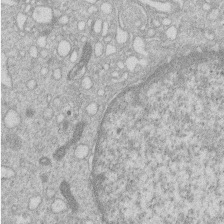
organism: Human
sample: Macrophage cells